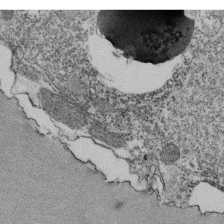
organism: Tetrahymena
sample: Cilia in tetrahymena